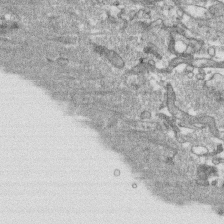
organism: Human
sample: CRL-1474